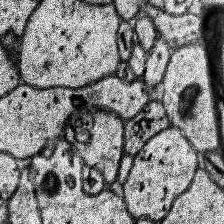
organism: Human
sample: Temporal Lobe